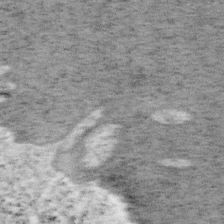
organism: Mouse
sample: OT-I killer T cells with ID8 ovarian cancer cells